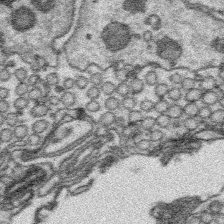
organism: Platynereis dumerilii